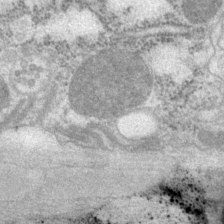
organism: P. pacificus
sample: Pharynx